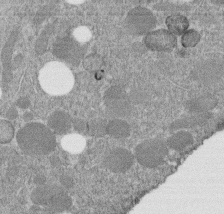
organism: C. elegans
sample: C. elegans embryo early stage